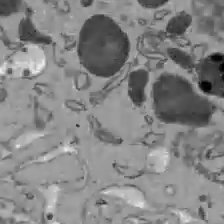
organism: C57BL Mouse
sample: Liver